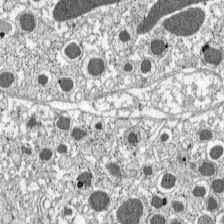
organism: C57BL Mouse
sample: Pancreatic islet